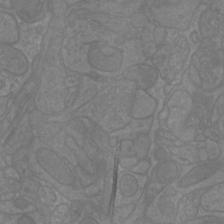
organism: Mouse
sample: Cortical neurons